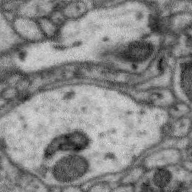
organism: Zebra finch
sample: Brain